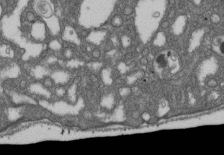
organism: Drosophila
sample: Nephrocyte